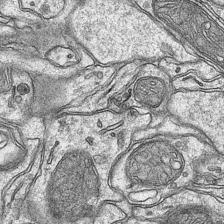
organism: Mouse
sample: CA1 Hippocampus